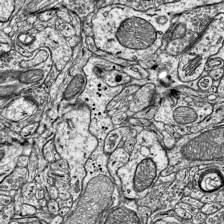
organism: Mouse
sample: Visual Cortex